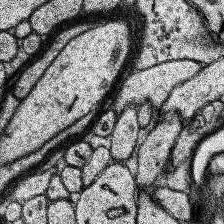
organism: Human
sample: Temporal Lobe